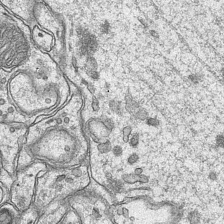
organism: Mouse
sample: CA1 Hippocampus